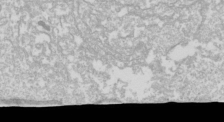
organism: Drosophila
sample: Cell division; meiosis; drosophila spermatocytes